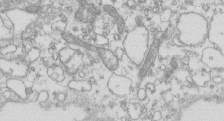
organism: Mouse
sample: Macrophages